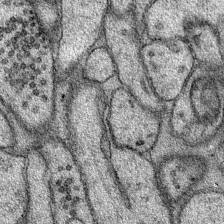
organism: Mouse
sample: Primary visual cortex